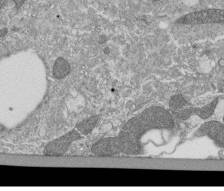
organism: Tetrahymena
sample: Cilia in tetrahymena